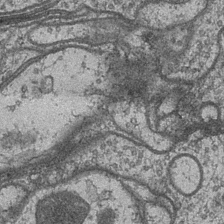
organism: Drosophila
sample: Optic medulla